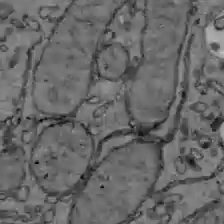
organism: C57BL Mouse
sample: Liver